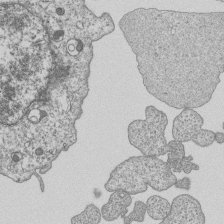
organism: Human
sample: MDA-MB-231 cells